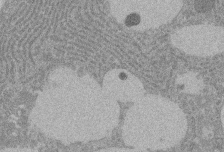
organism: Rat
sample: Salivary granule